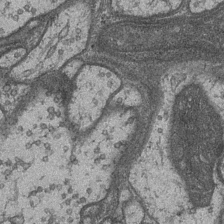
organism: Drosophila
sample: Optic medulla